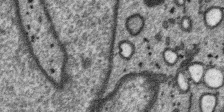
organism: Human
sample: Lung epithelial cells infected with SARS-CoV-2